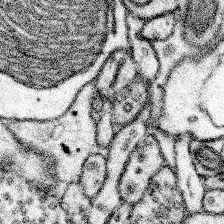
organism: Mouse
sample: Somatosensory cortex neuropil